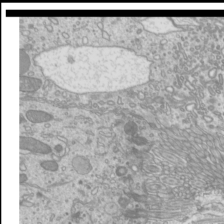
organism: Mouse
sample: Cilia; mouse epididymis